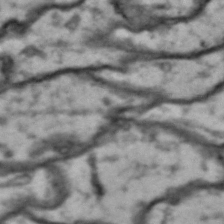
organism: Drosophila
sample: Brain